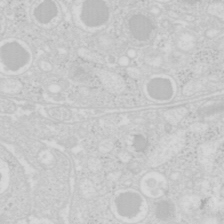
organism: Mouse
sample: Pancreas